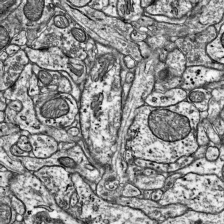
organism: Mouse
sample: Visual Cortex